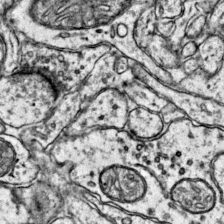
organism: Mouse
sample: Primary visual cortex